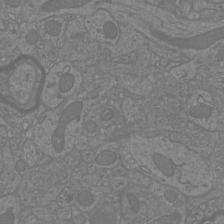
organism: Mouse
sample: Cortical neurons